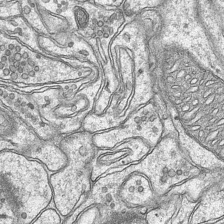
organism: Mouse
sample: CA1 Hippocampus